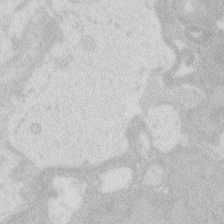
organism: Zebrafish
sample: Macrophage